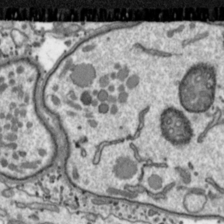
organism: Toxoplasma gondii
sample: Parasites in a vacuole inside a host cell